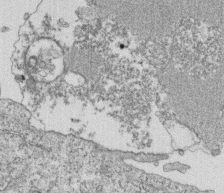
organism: Human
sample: HeLa cell HIV synapse